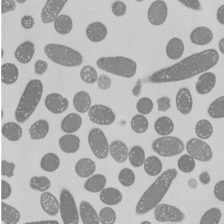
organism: E. coli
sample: Bacterial nucleoid